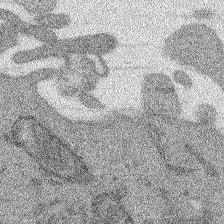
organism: Human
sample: HeLa cells